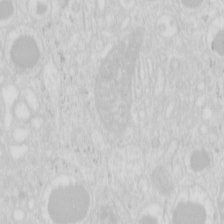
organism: Mouse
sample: Pancreas